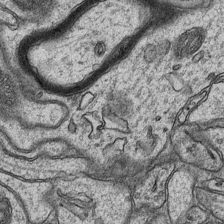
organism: Mouse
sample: CA1 Hippocampus